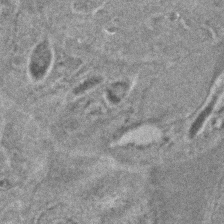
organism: C. elegans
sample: C. elegans embryo